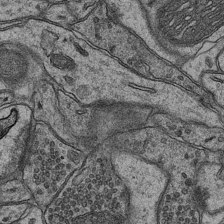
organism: Mouse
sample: CA1 Hippocampus